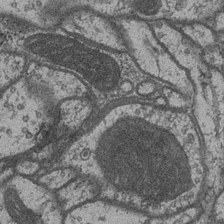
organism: Drosophila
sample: Optic medulla